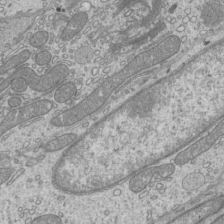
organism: Mouse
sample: Cilia; mouse epididymis